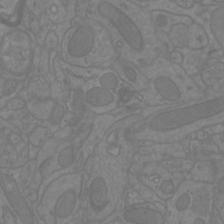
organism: Mouse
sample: Cortical neurons